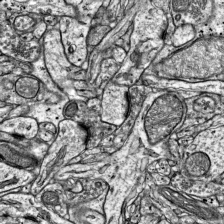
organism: Mouse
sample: Visual Cortex